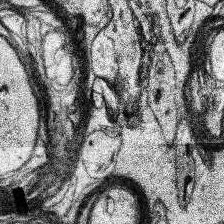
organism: Human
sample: Temporal Lobe